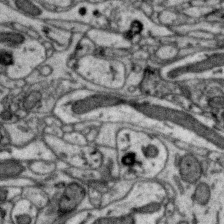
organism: Zebra finch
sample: Brain